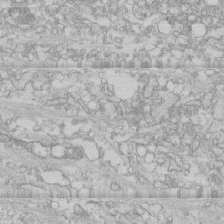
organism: Human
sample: CRL-1474